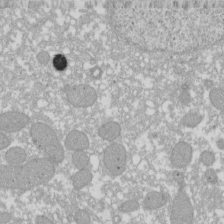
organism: Xenopus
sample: Cilia; centrioles in frog embryo cells